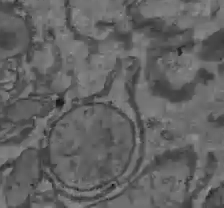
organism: C57BL Mouse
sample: Liver